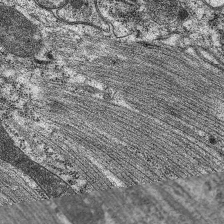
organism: C. elegans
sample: Pharynx